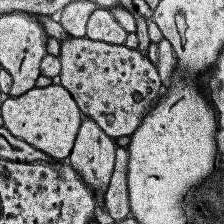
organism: Human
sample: Temporal Lobe